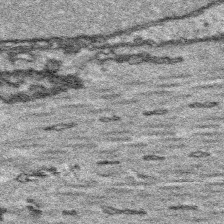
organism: Platynereis dumerilii